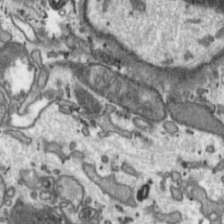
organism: Toxoplasma gondii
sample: Parasites in a vacuole inside a host cell